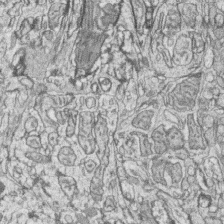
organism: Zebrafish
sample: synaptic ribbons in rod cells and cone cells